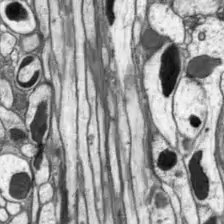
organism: Drosophila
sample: Optic lobe